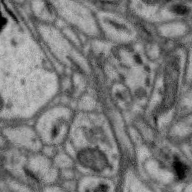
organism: Zebra finch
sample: Brain